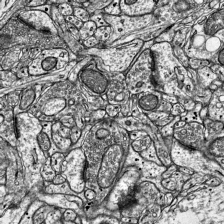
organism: Mouse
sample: Visual Cortex